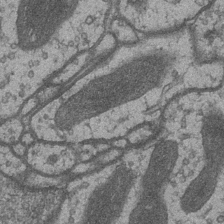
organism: Drosophila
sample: Optic medulla